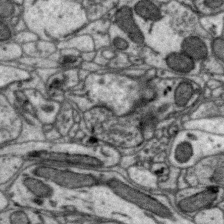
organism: Zebra finch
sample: Brain